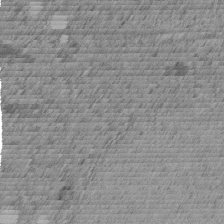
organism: C. elegans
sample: C. elegans embryo early stage